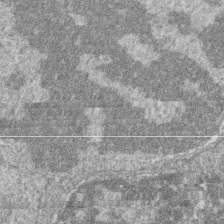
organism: Zebrafish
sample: Cilia; retinal pigment epithelium